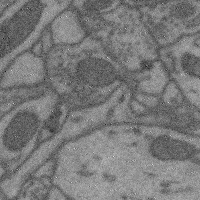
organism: Mouse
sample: Cerebral cortex